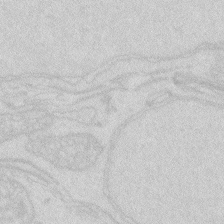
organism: Zebrafish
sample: Macrophage